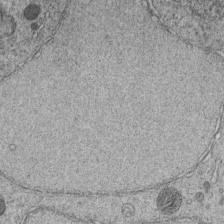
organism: C. elegans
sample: C. elegans embryo early stage